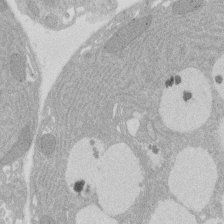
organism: Rat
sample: Salivary granule